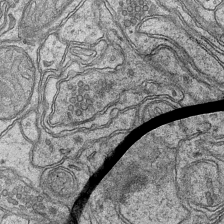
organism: Mouse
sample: CA1 Hippocampus